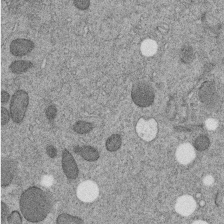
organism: C. elegans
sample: C. elegans embryo early stage